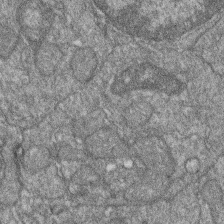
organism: Zebrafish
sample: Cilia; retinal pigment epithelium